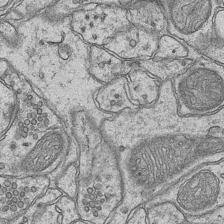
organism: Mouse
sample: CA1 Hippocampus